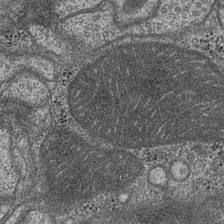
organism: Drosophila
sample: Optic medulla